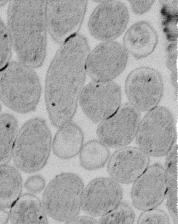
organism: E. coli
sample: Bacterial nucleoid